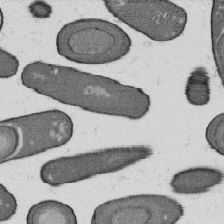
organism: B. subtilis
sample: Bacterial spore